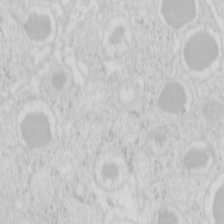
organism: Mouse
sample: Pancreas